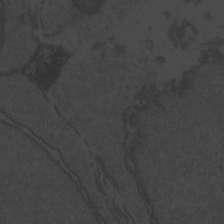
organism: Zebrafish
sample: Macrophage infected with Toxoplasma gondii